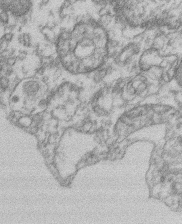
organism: Mouse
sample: T cell stromal cell synapse